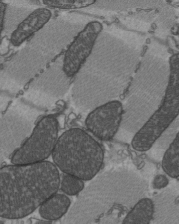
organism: C57BL Mouse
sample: Heart